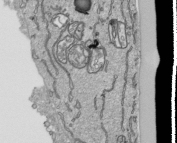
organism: Human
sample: Mitochondria in HCT116 cells